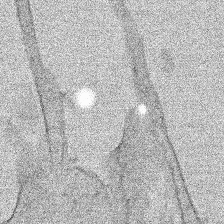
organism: Human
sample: Mitochondria in HCT116 cells